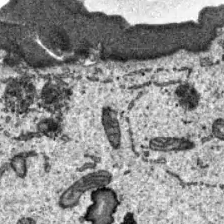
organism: Human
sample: HeLa cells